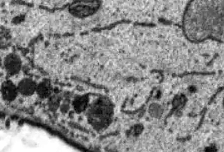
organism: Human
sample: HeLa cells